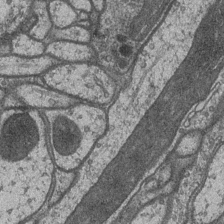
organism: Drosophila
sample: Optic medulla